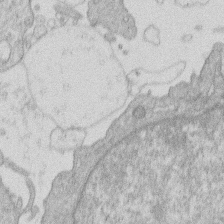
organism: Human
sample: Macrophage cells